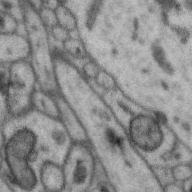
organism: Zebra finch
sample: Brain